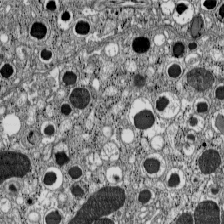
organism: C57BL Mouse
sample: Pancreatic islet